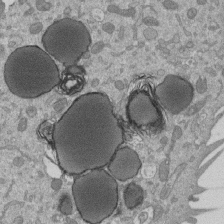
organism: Mouse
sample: ED-1 cell nuclei; centrioles